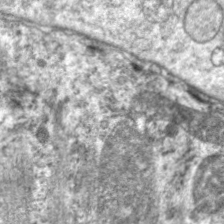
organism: C. elegans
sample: Pharynx